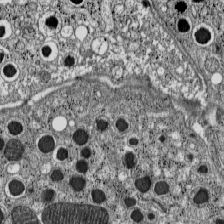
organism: C57BL Mouse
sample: Pancreatic islet